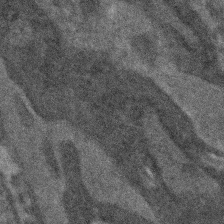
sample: Kidney